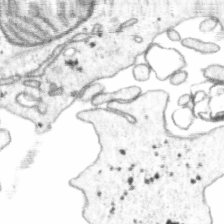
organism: Human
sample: HeLa cells